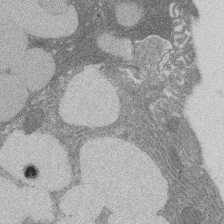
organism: Rat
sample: Salivary granule